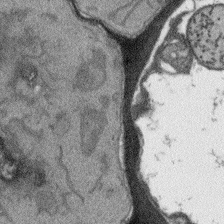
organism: Arabidopsis thaliana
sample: Root tip